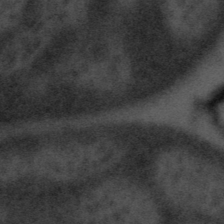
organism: Tuwongella immobilis